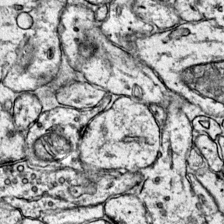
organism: Mouse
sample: Primary visual cortex